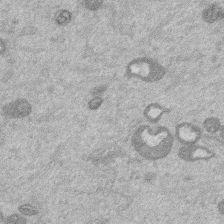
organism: Mouse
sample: Dividing mouse embryo 1 cell stage